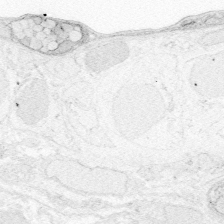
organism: Zebrafish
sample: Whole-Brain